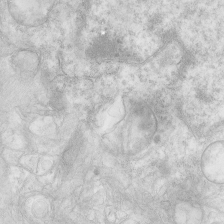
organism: Human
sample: Neocortex